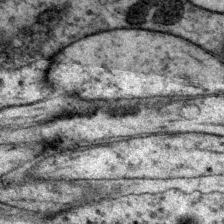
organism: P. pacificus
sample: Pharynx